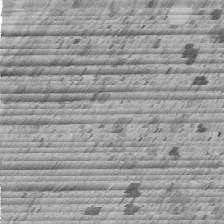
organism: C. elegans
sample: C. elegans embryo early stage